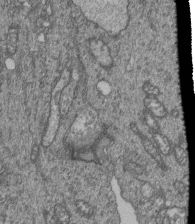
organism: Human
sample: Retinal organoid Rod and Cone cells